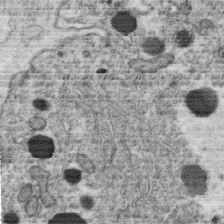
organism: C. elegans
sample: C. elegans oocyte; sperm cells